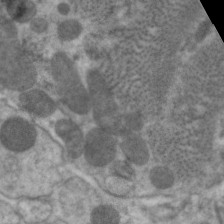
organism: C. elegans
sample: Pharynx